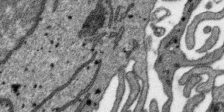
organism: Human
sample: Lung epithelial cells, uninfected (mock) control